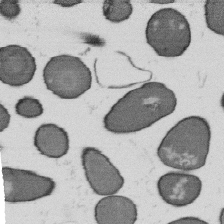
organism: B. subtilis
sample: Bacterial spore